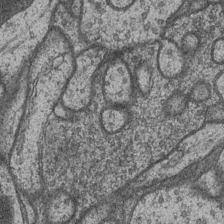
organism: Drosophila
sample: Optic medulla